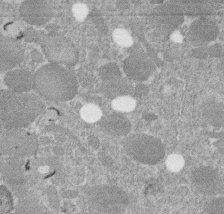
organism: C. elegans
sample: C. elegans embryo early stage